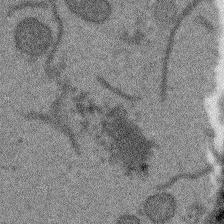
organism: Arabidopsis thaliana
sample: Root tip